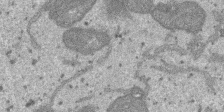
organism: Human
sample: Lung epithelial cells infected with SARS-CoV-2